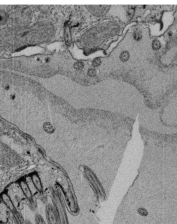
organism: Tetrahymena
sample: Cilia in tetrahymena